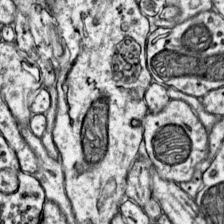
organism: Mouse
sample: Primary visual cortex